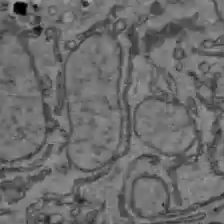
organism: C57BL Mouse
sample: Liver